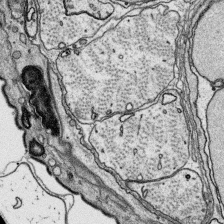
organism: Platynereis dumerilii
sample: Parapodia